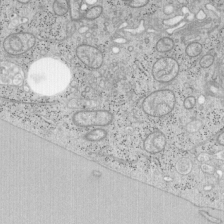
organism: Mouse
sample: OT-I killer T cells with ID8 ovarian cancer cells